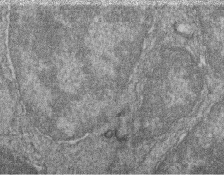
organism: Zebrafish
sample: Cilia; retinal pigment epithelium